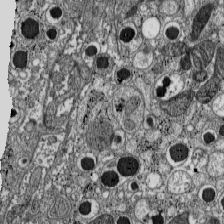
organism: C57BL Mouse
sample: Pancreatic islet